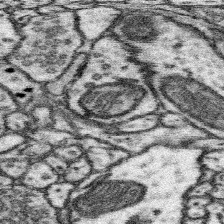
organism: Mouse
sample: Somatosensory cortex neuropil